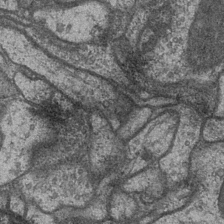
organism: Drosophila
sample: Optic medulla